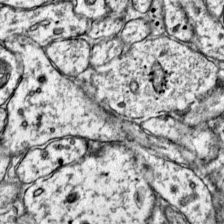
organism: Mouse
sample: Primary visual cortex